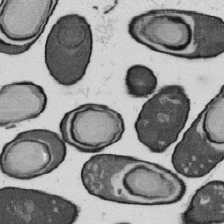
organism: B. subtilis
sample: Bacterial spore